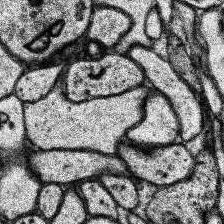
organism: Human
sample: Temporal Lobe